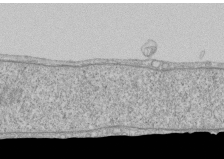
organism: Human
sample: CRL-1474